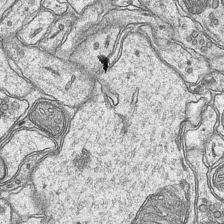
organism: Mouse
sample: CA1 Hippocampus